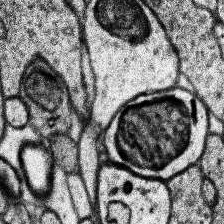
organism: Human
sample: Temporal Lobe